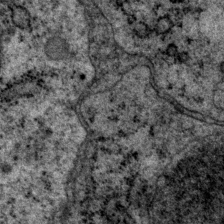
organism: P. pacificus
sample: Pharynx